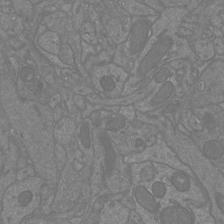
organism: Mouse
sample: Cortical neurons